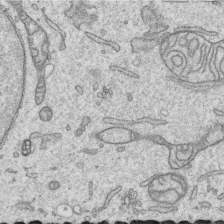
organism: Human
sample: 1205lu cells